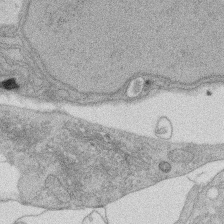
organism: Rat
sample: Salivary granule